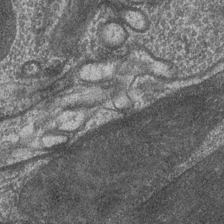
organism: Drosophila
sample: Optic medulla